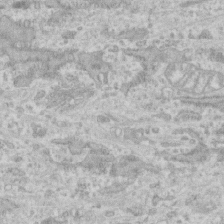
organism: Human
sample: CRL-1474